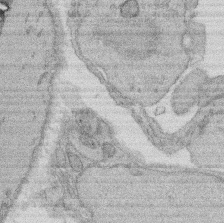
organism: Rat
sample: Salivary granule